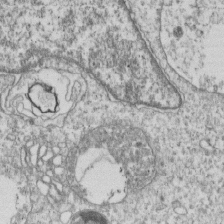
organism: Human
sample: MDA-MB-231 cells